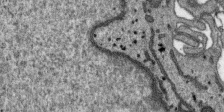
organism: Human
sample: Lung epithelial cells, uninfected (mock) control